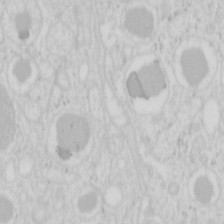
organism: Mouse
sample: Pancreas